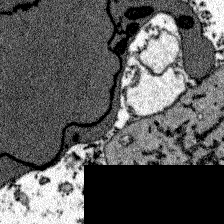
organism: Zebrafish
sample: Larval olfactory bulb